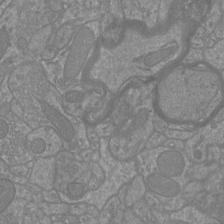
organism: Mouse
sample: Cortical neurons